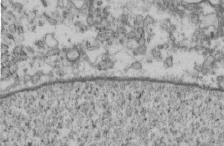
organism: Mouse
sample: Cilia; retinal pigment epithelium